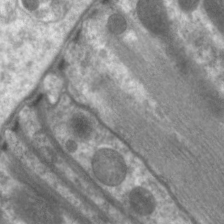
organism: C. elegans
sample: Pharynx